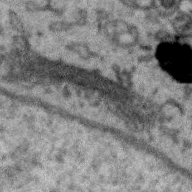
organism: Zebra finch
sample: Brain